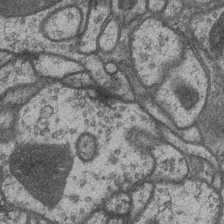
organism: Drosophila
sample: Optic medulla